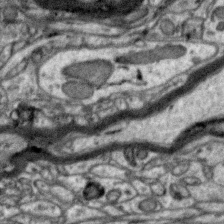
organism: Zebra finch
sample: Brain